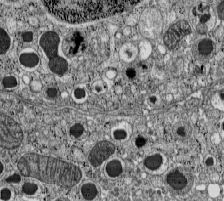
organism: C57BL Mouse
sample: Pancreatic islet